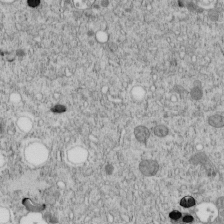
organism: C. elegans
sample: C. elegans embryo early stage